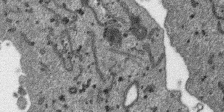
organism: Human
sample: Lung epithelial cells infected with SARS-CoV-2